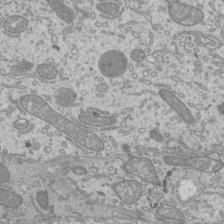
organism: Mouse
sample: Cilia; mouse epididymis